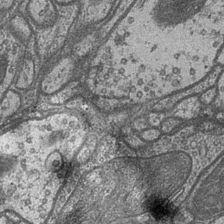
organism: Drosophila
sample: Optic medulla